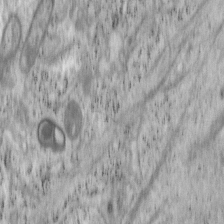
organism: Human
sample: HeLa cells